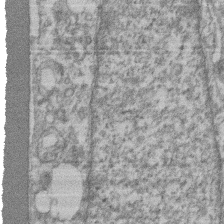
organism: Mouse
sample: T cell stromal cell synapse